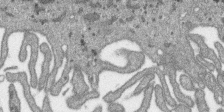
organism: Human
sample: Lung epithelial cells infected with SARS-CoV-2